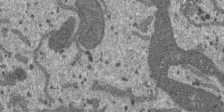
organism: Human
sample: Lung epithelial cells infected with SARS-CoV-2